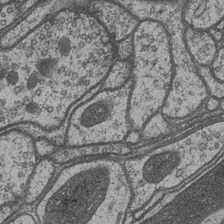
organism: Drosophila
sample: Optic medulla